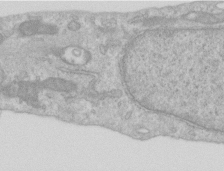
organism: Human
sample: Centriole in RPE cells